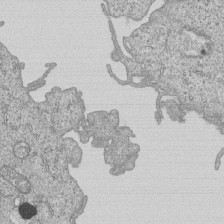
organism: Human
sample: MDA-MB-231 cells